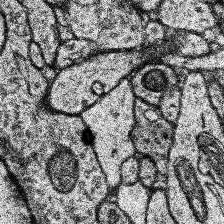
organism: Human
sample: Temporal Lobe